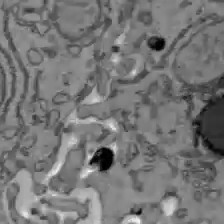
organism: C57BL Mouse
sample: Liver